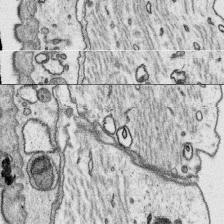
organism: Platynereis dumerilii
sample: Parapodia